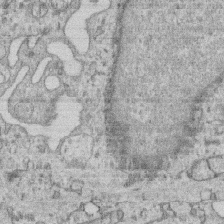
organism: Human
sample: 1205lu cells